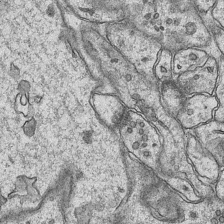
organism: Mouse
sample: CA1 Hippocampus